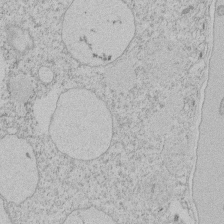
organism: Tetrahymena